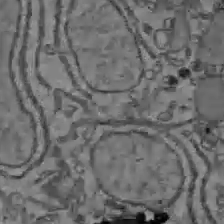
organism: C57BL Mouse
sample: Liver